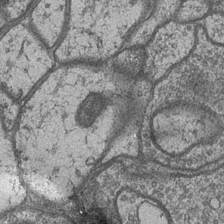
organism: Drosophila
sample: Optic medulla